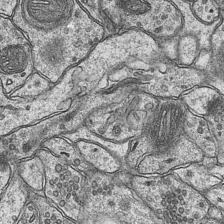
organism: Mouse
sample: CA1 Hippocampus